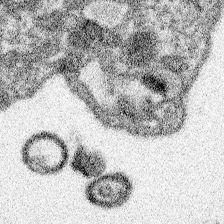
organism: Spongilla lacustris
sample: Neuroid cell